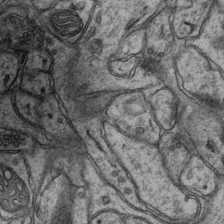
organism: Mouse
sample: CA1 Hippocampus